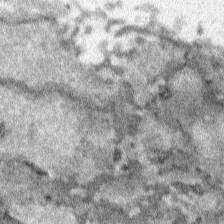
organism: Human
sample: Mitochondria in HCT116 cells